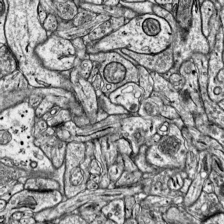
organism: Mouse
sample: Visual Cortex